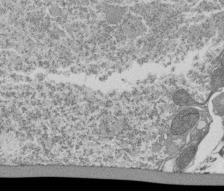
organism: Tetrahymena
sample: Cilia in tetrahymena